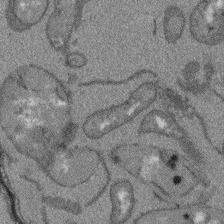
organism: Arabidopsis thaliana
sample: Root tip